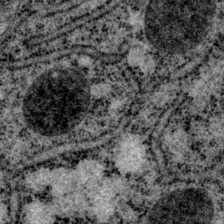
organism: P. pacificus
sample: Pharynx